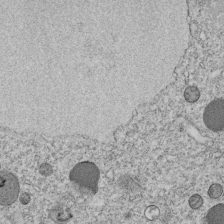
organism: C. elegans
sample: C. elegans embryo early stage